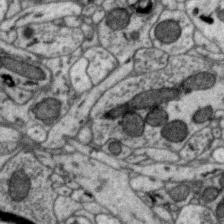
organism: Zebra finch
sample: Brain